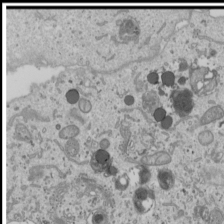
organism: Human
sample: Mitochondria in U2OS cells